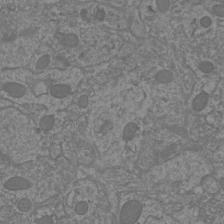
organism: Mouse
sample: Cortical neurons